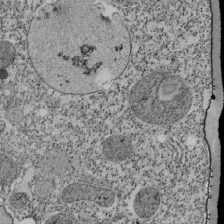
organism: Tetrahymena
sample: Cilia in tetrahymena